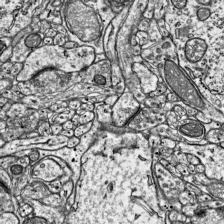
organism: Mouse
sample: Visual Cortex